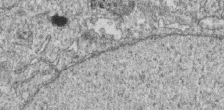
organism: Human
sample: HeLa cell HIV synapse